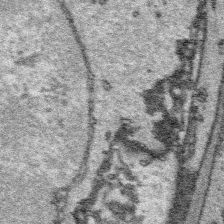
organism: Platynereis dumerilii